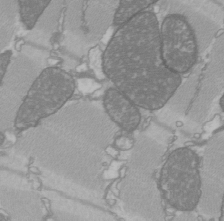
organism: C57BL Mouse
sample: Heart